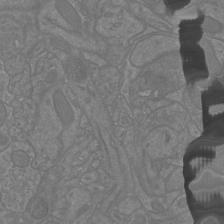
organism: Mouse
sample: Cortical neurons